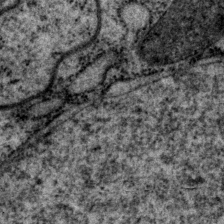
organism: P. pacificus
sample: Pharynx